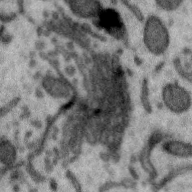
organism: Zebra finch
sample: Brain